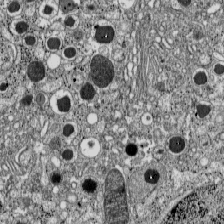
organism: C57BL Mouse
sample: Pancreatic islet